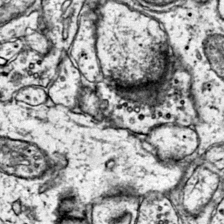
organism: Mouse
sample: Primary visual cortex